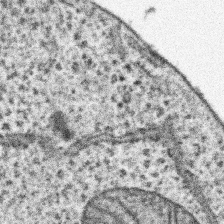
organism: Human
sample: HeLa cells